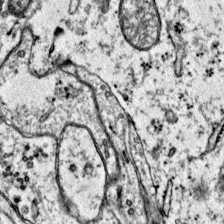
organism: Mouse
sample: Primary visual cortex